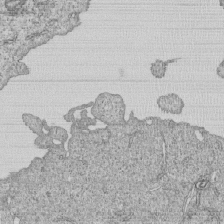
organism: Human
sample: MDA-MB-231 cells